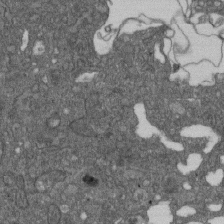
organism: Drosophila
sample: Nephrocyte